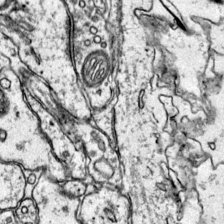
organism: Mouse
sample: Primary visual cortex